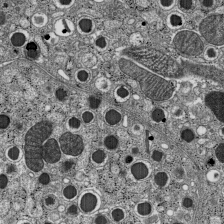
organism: C57BL Mouse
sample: Pancreatic islet